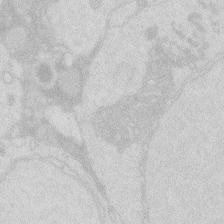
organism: Zebrafish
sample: Macrophage